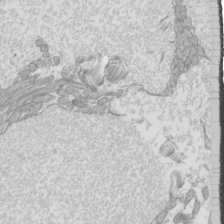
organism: Mouse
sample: Cilia; mouse epididymis